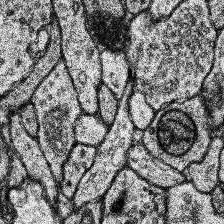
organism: Human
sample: Temporal Lobe